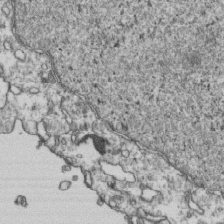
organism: Human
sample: Activated Jurkat CD4+ T cells